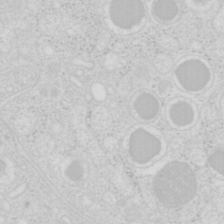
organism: Mouse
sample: Pancreas